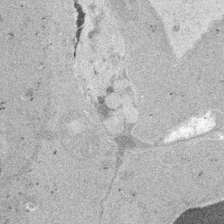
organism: Embia sp.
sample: Silk gland